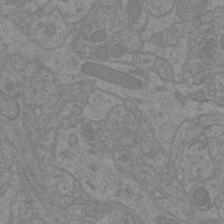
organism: Mouse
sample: Cortical neurons